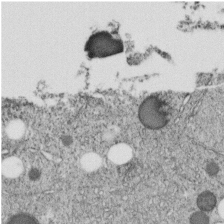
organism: C. elegans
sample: C. elegans embryo early stage